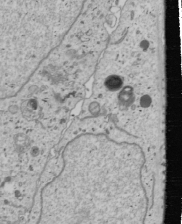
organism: Human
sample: Mitochondria in U2OS cells